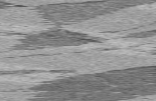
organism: C57BL Mouse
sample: Heart